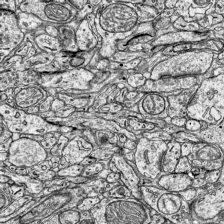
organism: Mouse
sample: Visual Cortex